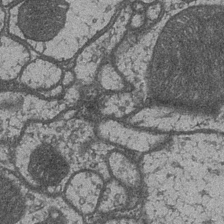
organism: Drosophila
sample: Optic medulla